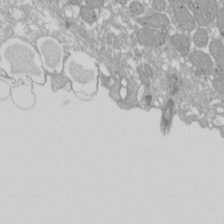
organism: Xenopus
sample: Cilia; centrioles in frog embryo cells